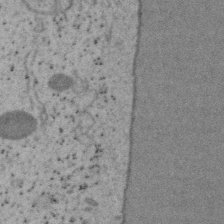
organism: Human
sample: HeLa cells